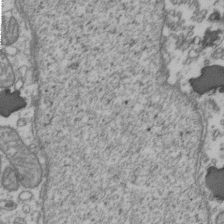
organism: Human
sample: Activated Jurkat CD4+ T cells